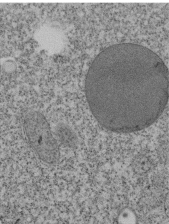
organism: Tetrahymena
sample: Cilia in tetrahymena